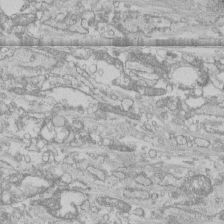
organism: Human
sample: CRL-1474